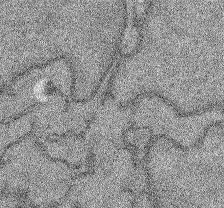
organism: Human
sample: HeLa cells